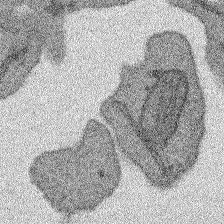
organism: Human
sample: HeLa cells